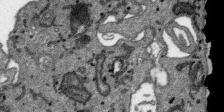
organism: Human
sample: Lung epithelial cells, uninfected (mock) control